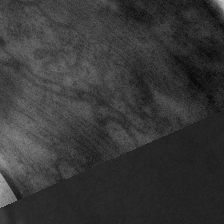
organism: C. elegans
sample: Pharynx